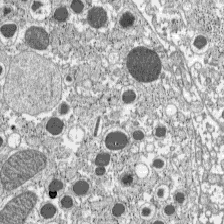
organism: C57BL Mouse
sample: Pancreatic islet